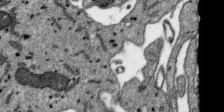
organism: Human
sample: Lung epithelial cells, uninfected (mock) control